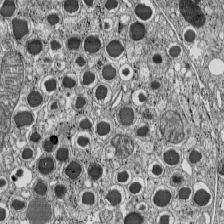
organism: C57BL Mouse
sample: Pancreatic islet